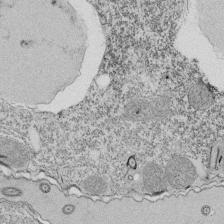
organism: Tetrahymena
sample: Cilia in tetrahymena